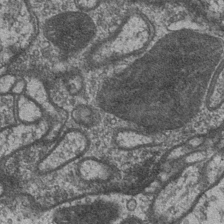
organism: Drosophila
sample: Optic medulla